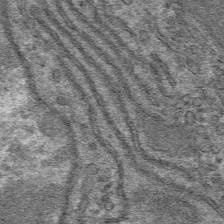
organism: Mouse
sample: Mouse hepatocytes